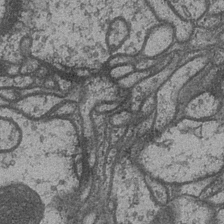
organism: Drosophila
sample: Optic medulla